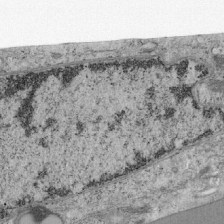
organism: Human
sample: HeLa cells